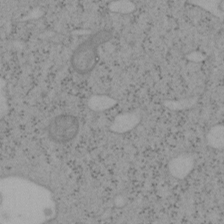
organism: Mouse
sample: OT-I killer T cells with ID8 ovarian cancer cells